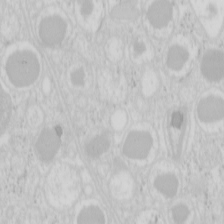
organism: Mouse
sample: Pancreas